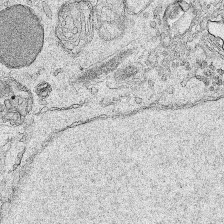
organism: Human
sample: Mitochondria in HCT116 cells